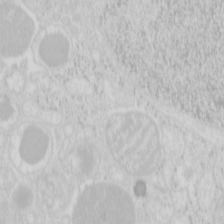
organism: Mouse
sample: Pancreas